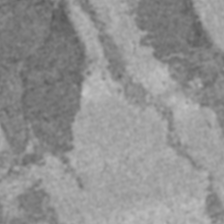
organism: C57BL Mouse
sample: Heart